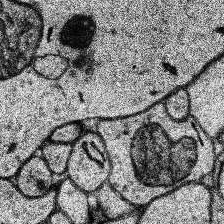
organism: Human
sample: Temporal Lobe